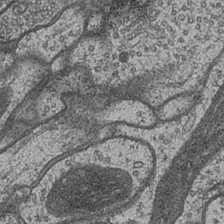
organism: Drosophila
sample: Optic medulla